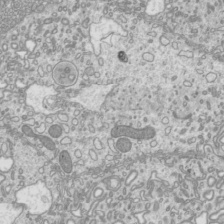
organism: Mouse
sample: Cilia; mouse epididymis